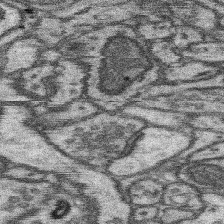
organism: Mouse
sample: Somatosensory cortex neuropil